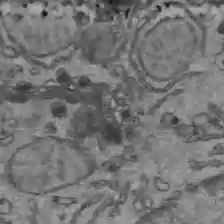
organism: C57BL Mouse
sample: Liver